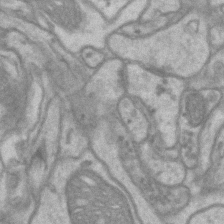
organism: Mouse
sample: CA1 Hippocampus